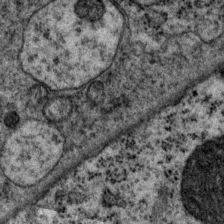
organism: P. pacificus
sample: Pharynx